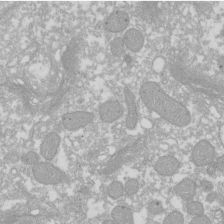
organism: Xenopus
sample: Cilia; centrioles in frog embryo cells